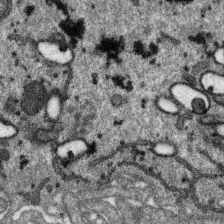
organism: Human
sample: Lung epithelial cells infected with SARS-CoV-2